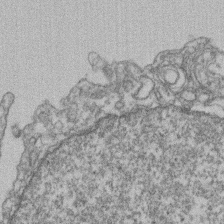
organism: Mouse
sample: T cell stromal cell synapse